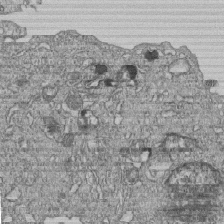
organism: Human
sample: MDA-MB-231 cells